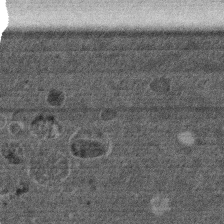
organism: Mouse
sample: Dividing mouse embryo 1 cell stage